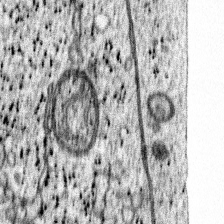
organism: Human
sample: HeLa cells